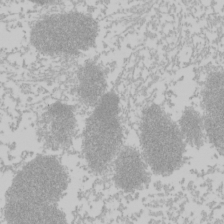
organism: Mouse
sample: Cancer cell death in ED-1 cells